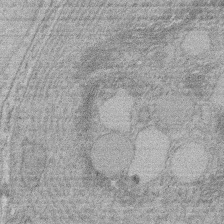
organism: Rat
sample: Salivary granule